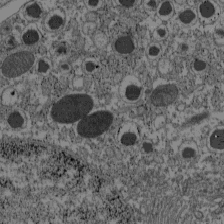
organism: C57BL Mouse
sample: Pancreatic islet